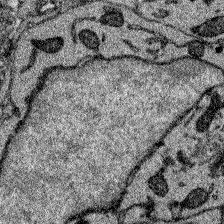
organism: Zebrafish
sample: Larval olfactory bulb